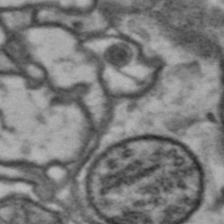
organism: Drosophila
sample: Brain